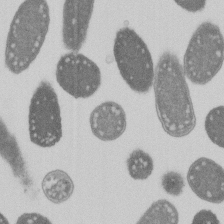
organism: E. coli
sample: Bacterial nucleoid